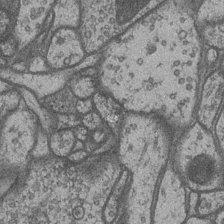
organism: Drosophila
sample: Optic medulla